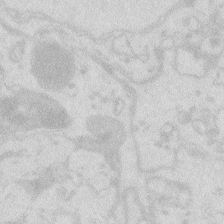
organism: Zebrafish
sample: Macrophage